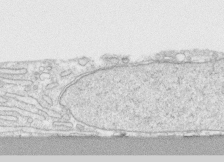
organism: Human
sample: CRL-1474